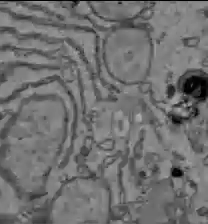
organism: C57BL Mouse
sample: Liver